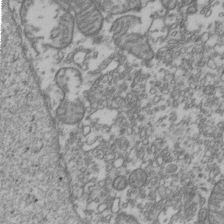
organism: Human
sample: Activated Jurkat CD4+ T cells